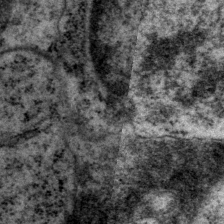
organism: P. pacificus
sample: Pharynx